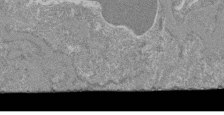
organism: Mouse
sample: Glomerulus